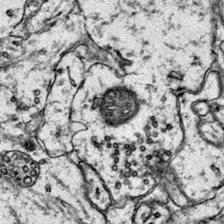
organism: Mouse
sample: Primary visual cortex